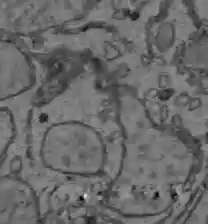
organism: C57BL Mouse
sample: Liver